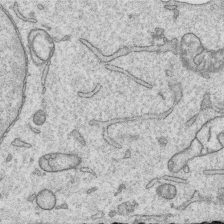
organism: Human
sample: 1205lu cells